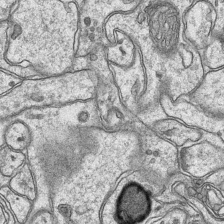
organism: Mouse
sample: CA1 Hippocampus